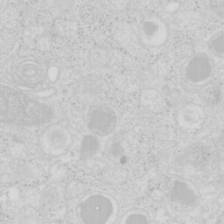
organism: Mouse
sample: Pancreas